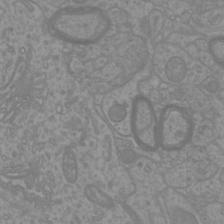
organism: Mouse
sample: Cortical neurons